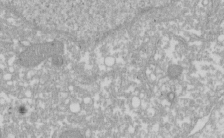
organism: Xenopus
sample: Cilia; centrioles in frog embryo cells